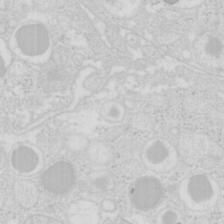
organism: Mouse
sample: Pancreas